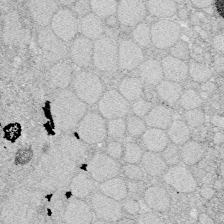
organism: Zebrafish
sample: Whole-Brain